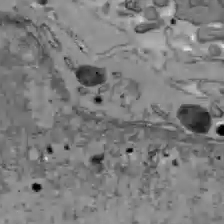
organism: C57BL Mouse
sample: Liver